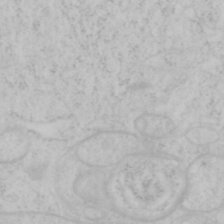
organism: Mouse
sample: OT-I killer T cells with ID8 ovarian cancer cells